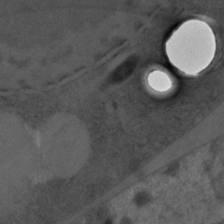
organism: C. elegans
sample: C. elegans embryo